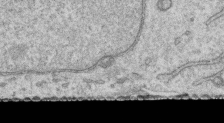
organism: Human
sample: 1205lu cells